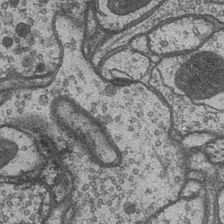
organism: Drosophila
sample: Optic medulla